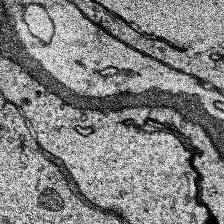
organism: Human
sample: Temporal Lobe